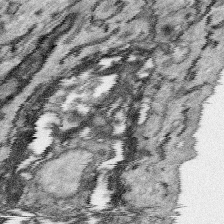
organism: Human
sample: HeLa cells